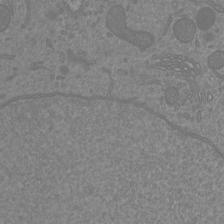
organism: Mouse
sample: Cortical neurons